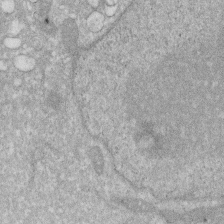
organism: Human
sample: HIV infected U937 cells